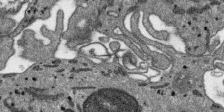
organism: Human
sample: Lung epithelial cells, uninfected (mock) control